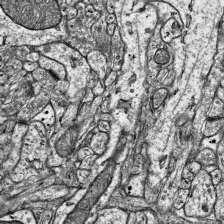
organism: Mouse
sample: Visual Cortex